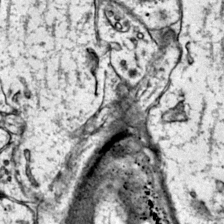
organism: Mouse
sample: Primary visual cortex